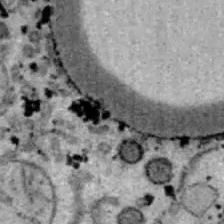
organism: Mouse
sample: Liver from an obese (ob/ob) mouse